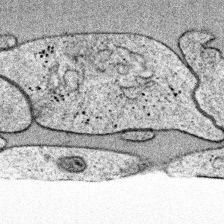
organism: Human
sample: HeLa cells